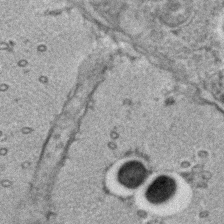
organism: C. elegans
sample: C. elegans embryo